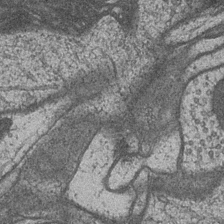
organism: Drosophila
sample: Optic medulla